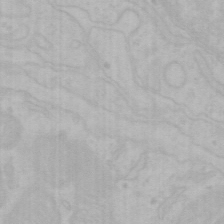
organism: Mouse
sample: Choroid plexus